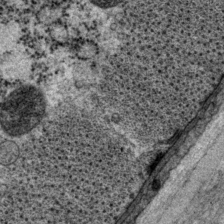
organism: P. pacificus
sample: Pharynx